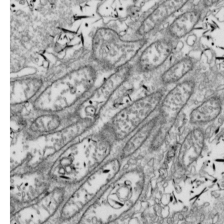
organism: Drosophila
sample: Cell division; meiosis; drosophila spermatocytes